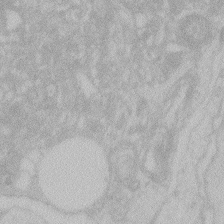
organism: Zebrafish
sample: Macrophage infected with Toxoplasma gondii